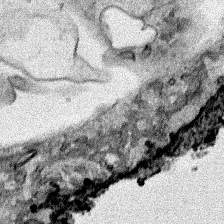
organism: Human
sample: Mitochondria in HCT116 cells